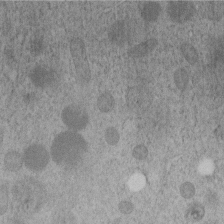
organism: C. elegans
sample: C. elegans embryo early stage